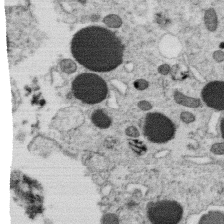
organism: C. elegans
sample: C. elegans oocyte; sperm cells